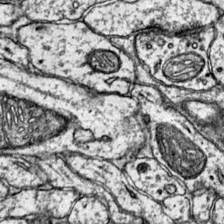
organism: Mouse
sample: Primary visual cortex